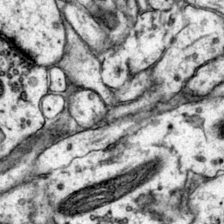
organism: Mouse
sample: Primary visual cortex